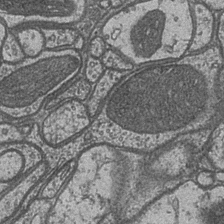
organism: Drosophila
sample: Optic medulla